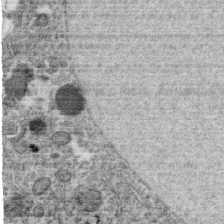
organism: C. elegans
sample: C. elegans oocyte; sperm cells